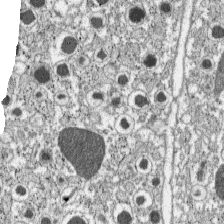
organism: C57BL Mouse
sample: Pancreatic islet